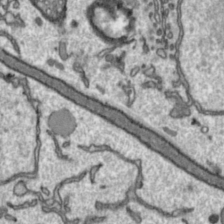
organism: Toxoplasma gondii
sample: Parasites in a vacuole inside a host cell